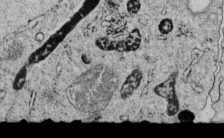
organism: C. elegans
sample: C. elegans embryo early stage